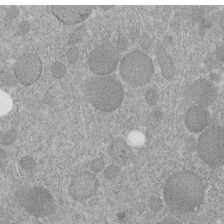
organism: C. elegans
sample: C. elegans embryo early stage